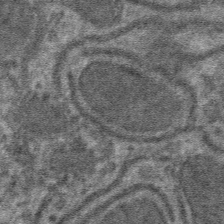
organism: Mouse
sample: Mouse hepatocytes